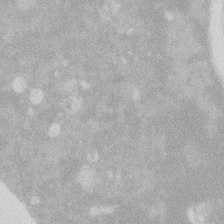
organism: Zebrafish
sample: Macrophage